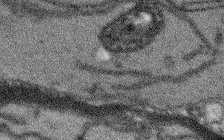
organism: Arabidopsis thaliana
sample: Root tip